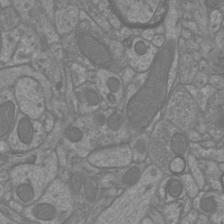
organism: Mouse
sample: Cortical neurons